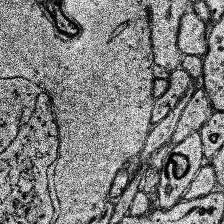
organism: Human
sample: Temporal Lobe